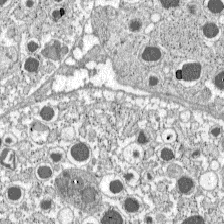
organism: C57BL Mouse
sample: Pancreatic islet